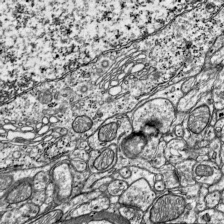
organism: Mouse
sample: Visual Cortex